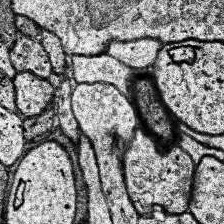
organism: Human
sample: Temporal Lobe